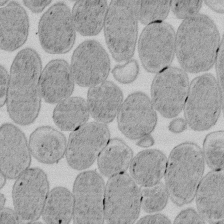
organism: E. coli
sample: Bacterial nucleoid